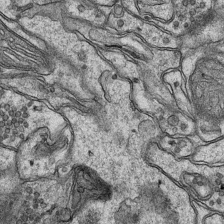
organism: Mouse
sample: CA1 Hippocampus